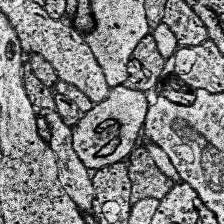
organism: Human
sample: Temporal Lobe